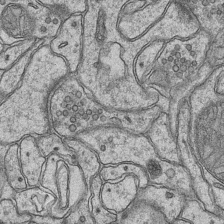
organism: Mouse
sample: CA1 Hippocampus